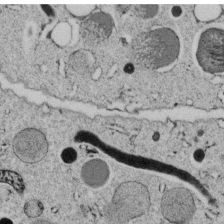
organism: C. elegans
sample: C. elegans embryo early stage